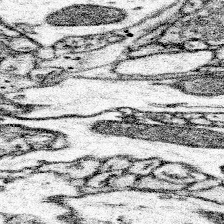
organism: Mouse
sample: Somatosensory cortex neuropil